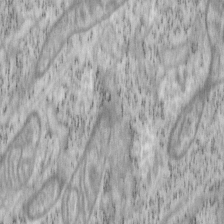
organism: Human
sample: HeLa cells